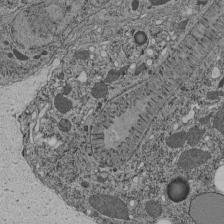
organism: C. elegans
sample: C. elegans pharynx